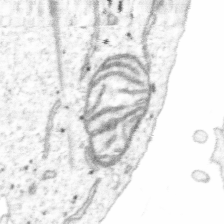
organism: Human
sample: HeLa cells